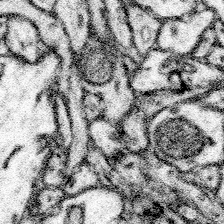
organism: Mouse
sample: Somatosensory cortex neuropil